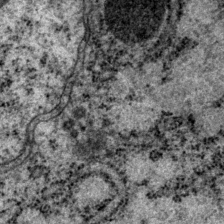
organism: P. pacificus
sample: Pharynx